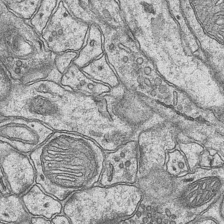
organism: Mouse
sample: CA1 Hippocampus